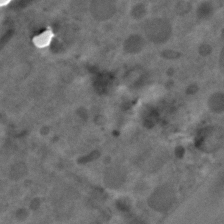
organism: C. elegans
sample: C. elegans embryo